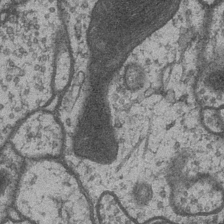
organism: Drosophila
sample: Optic medulla